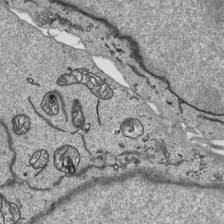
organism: Human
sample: Mitochondria in HCT116 cells